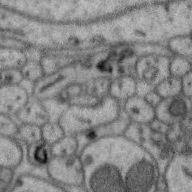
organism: Zebra finch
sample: Brain